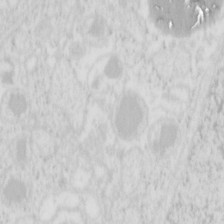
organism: Mouse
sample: Pancreas